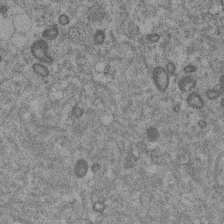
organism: Mouse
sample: Dividing mouse embryo 1 cell stage